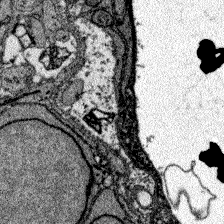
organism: Zebrafish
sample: Larval olfactory bulb